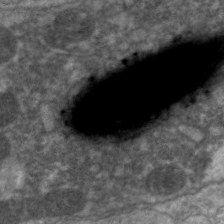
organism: C. elegans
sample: Pharynx